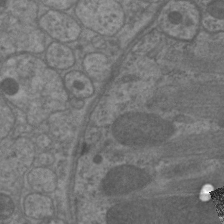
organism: C. elegans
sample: Pharynx